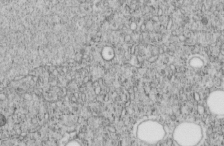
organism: C. elegans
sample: C. elegans embryo early stage